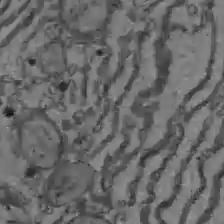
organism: C57BL Mouse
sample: Liver